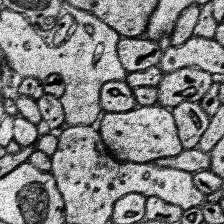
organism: Human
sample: Temporal Lobe